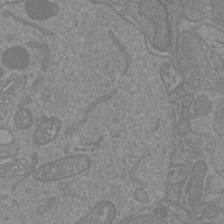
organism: Mouse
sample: Cortical neurons